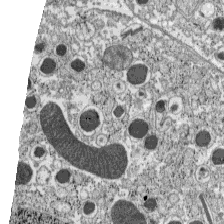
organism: C57BL Mouse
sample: Pancreatic islet